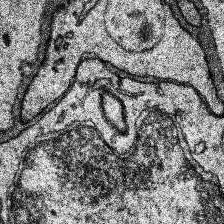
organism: Human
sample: Temporal Lobe